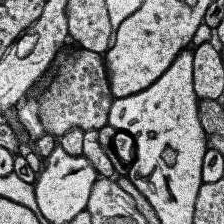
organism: Human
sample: Temporal Lobe